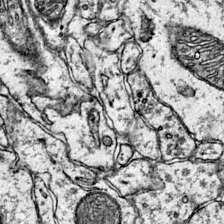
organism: Mouse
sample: Primary visual cortex